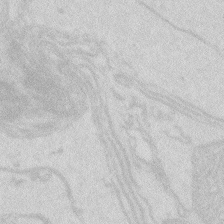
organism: Zebrafish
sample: Macrophage